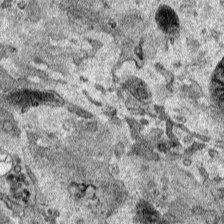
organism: Human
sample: Mitochondria in HCT116 cells